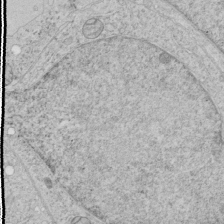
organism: Human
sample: Mitochondria in HCT116 cells